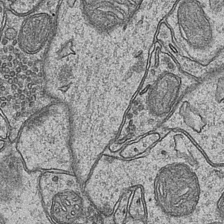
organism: Mouse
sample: CA1 Hippocampus